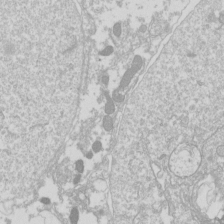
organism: Drosophila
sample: Cell division; meiosis; drosophila spermatocytes